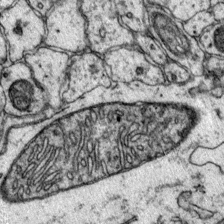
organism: Mouse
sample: Primary visual cortex